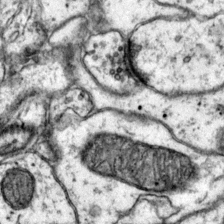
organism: Mouse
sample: Primary visual cortex